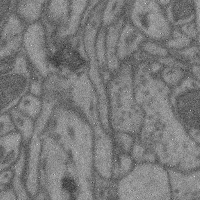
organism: Mouse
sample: Cerebral cortex